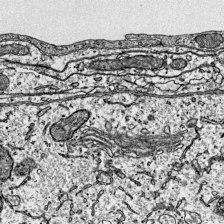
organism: Mouse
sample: Visual Cortex